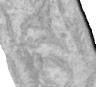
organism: Human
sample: Centriole in RPE cells